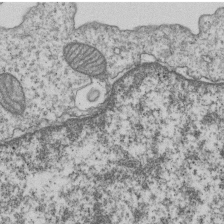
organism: Human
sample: MDA-MB-231 cells